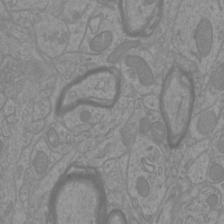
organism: Mouse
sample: Cortical neurons